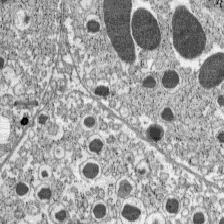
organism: C57BL Mouse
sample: Pancreatic islet